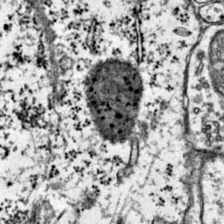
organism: Mouse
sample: Primary visual cortex